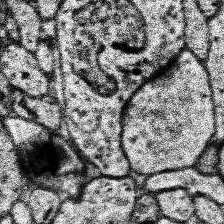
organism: Human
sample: Temporal Lobe